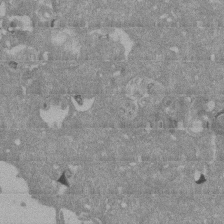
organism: Mouse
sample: ED-1 cell nuclei; centrioles